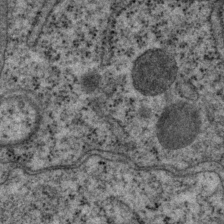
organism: P. pacificus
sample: Pharynx